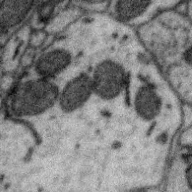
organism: Zebra finch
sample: Brain